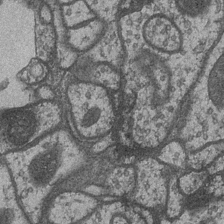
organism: Drosophila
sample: Optic medulla